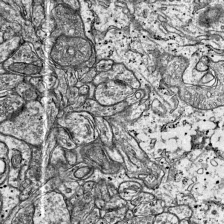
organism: Mouse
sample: Visual Cortex